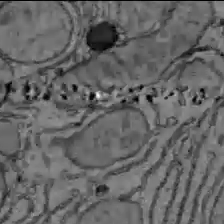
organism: C57BL Mouse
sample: Liver